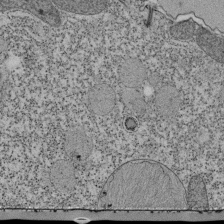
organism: Tetrahymena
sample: Cilia in tetrahymena